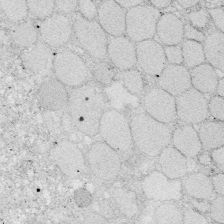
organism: Zebrafish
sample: Whole-Brain